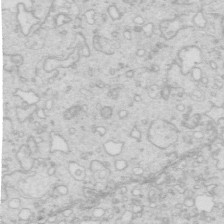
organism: Mouse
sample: Multiciliated cells